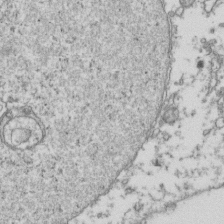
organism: Human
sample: Activated Jurkat CD4+ T cells